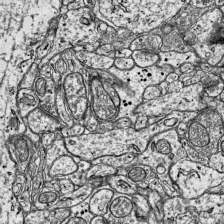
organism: Mouse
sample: Visual Cortex